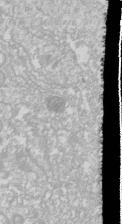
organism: Drosophila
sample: Cell division; meiosis; drosophila spermatocytes